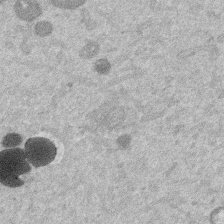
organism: Mouse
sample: Dividing mouse embryo 1 cell stage